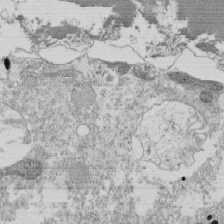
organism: Tetrahymena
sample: Cilia in tetrahymena